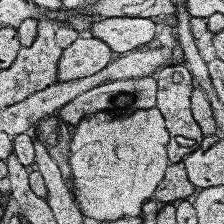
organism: Human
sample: Temporal Lobe